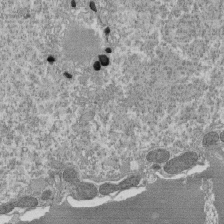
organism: Tetrahymena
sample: Cilia in tetrahymena